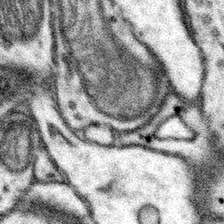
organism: Mouse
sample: Somatosensory cortex neuropil